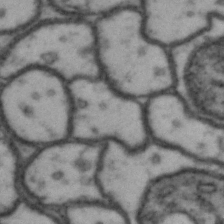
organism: Drosophila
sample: Brain